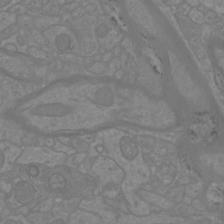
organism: Mouse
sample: Cortical neurons